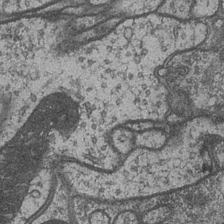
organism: Drosophila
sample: Optic medulla